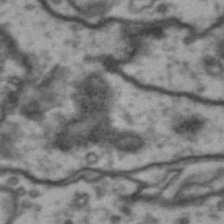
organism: Drosophila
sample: Brain